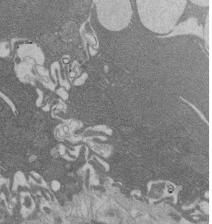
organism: Rat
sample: Salivary granule